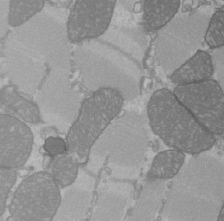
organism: C57BL Mouse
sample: Heart